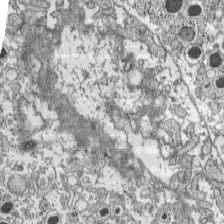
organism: C57BL Mouse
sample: Pancreatic islet